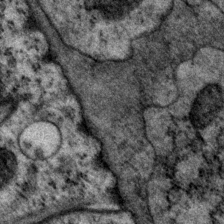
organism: P. pacificus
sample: Pharynx